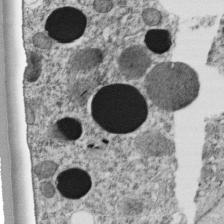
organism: C. elegans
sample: C. elegans embryo early stage